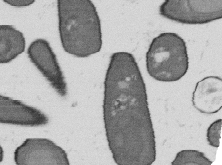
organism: B. subtilis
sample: Bacterial spore